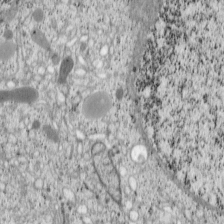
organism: African green monkey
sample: COS-7 cells